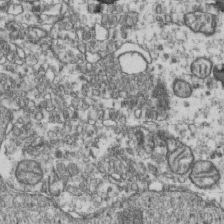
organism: Human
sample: Activated Jurkat CD4+ T cells